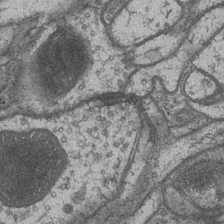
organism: Drosophila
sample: Optic medulla